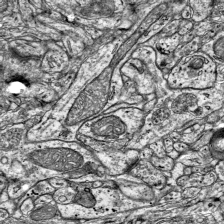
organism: Mouse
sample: Visual Cortex